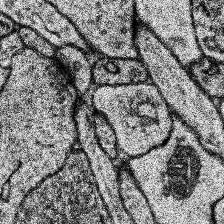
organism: Human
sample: Temporal Lobe